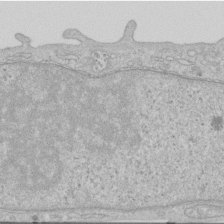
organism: Human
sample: Centriole in RPE cells